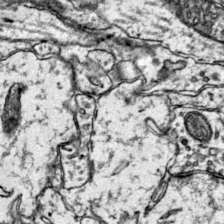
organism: Mouse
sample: Primary visual cortex